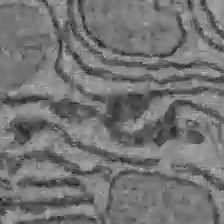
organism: C57BL Mouse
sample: Liver